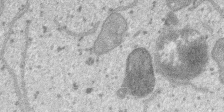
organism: Human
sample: Lung epithelial cells infected with SARS-CoV-2